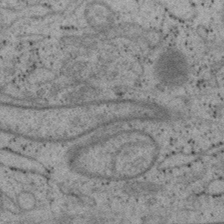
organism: Human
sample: HeLa cells